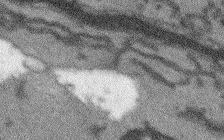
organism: Arabidopsis thaliana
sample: Root tip